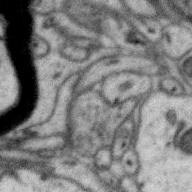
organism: Zebra finch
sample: Brain